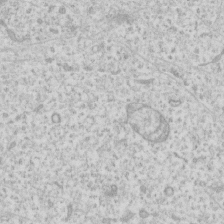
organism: Human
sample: Fibroblast cells